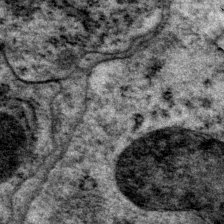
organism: P. pacificus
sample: Pharynx